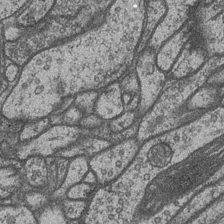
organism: Drosophila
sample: Optic medulla